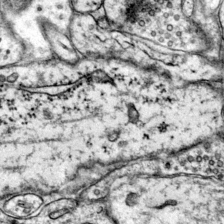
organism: Mouse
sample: Primary visual cortex